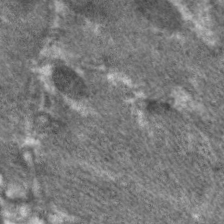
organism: C. elegans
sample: Pharynx